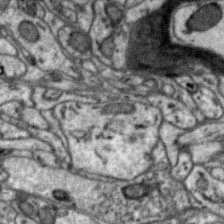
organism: Zebra finch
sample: Brain